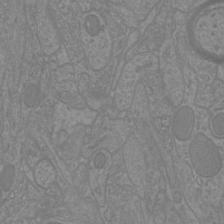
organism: Mouse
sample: Cortical neurons